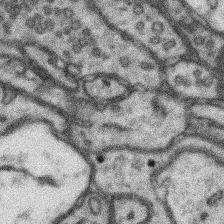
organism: Mouse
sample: Somatosensory cortex neuropil